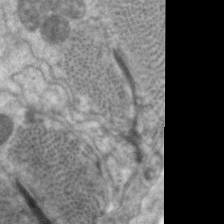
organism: C. elegans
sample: Pharynx